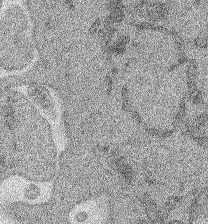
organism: Human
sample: HeLa cells